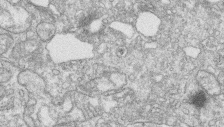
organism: Human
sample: HeLa cell HIV synapse